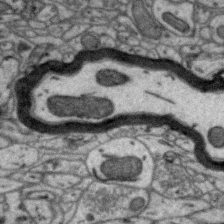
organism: Zebra finch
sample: Brain